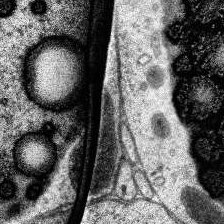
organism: Human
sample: Temporal Lobe